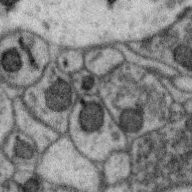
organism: Zebra finch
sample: Brain